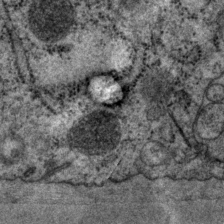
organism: P. pacificus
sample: Pharynx